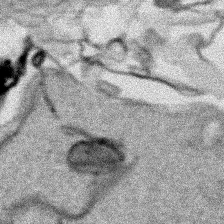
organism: Human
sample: Mitochondria in HCT116 cells